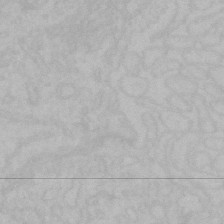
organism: Mouse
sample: Choroid plexus